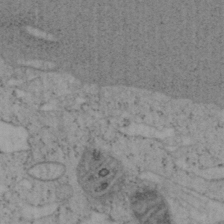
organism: Mouse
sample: OT-I killer T cells with ID8 ovarian cancer cells